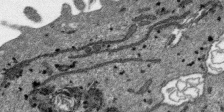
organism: Human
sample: Lung epithelial cells, uninfected (mock) control